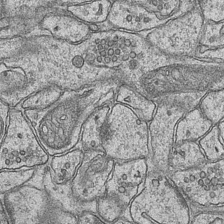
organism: Mouse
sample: CA1 Hippocampus